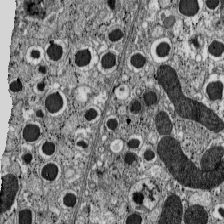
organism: C57BL Mouse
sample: Pancreatic islet